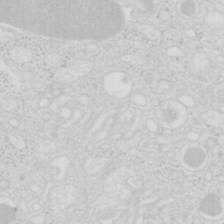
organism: Mouse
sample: Pancreas